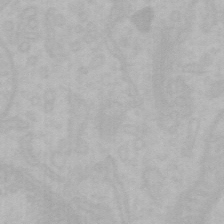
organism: Mouse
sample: Choroid plexus